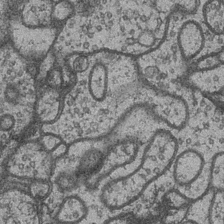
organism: Drosophila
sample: Optic medulla